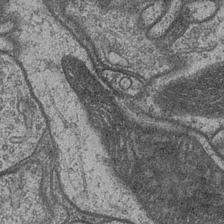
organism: Drosophila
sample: Optic medulla